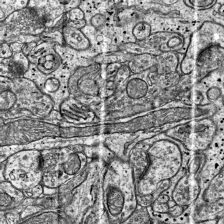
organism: Mouse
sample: Visual Cortex